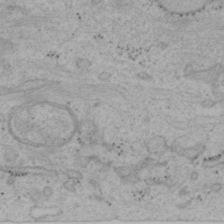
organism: Human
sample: HeLa cells